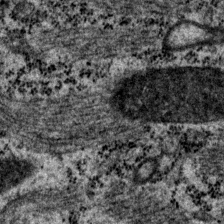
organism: P. pacificus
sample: Pharynx